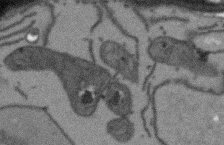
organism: Arabidopsis thaliana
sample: Root tip